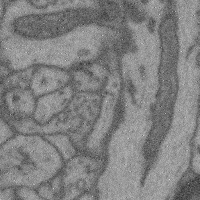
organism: Mouse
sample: Cerebral cortex